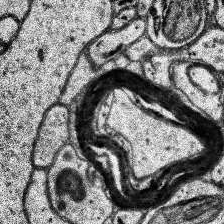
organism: Human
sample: Temporal Lobe